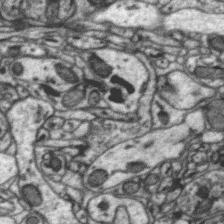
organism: Zebra finch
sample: Brain